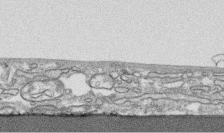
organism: Human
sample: CRL-1474